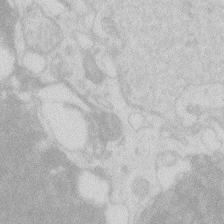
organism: Zebrafish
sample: Macrophage